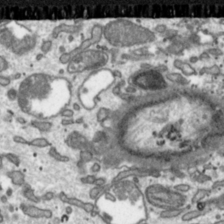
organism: Toxoplasma gondii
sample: Parasites in a vacuole inside a host cell